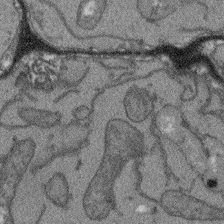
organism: Arabidopsis thaliana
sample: Root tip